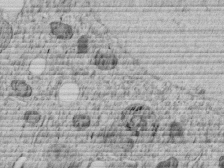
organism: C. elegans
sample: C. elegans embryo early stage